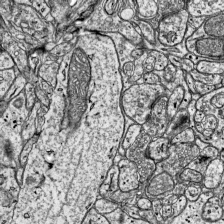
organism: Mouse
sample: Visual Cortex